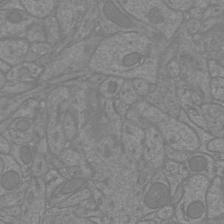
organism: Mouse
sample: Cortical neurons